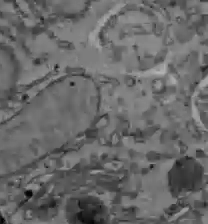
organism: C57BL Mouse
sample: Liver